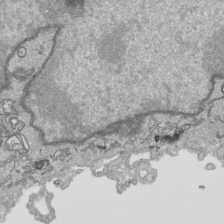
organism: Human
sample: Mitochondria in HCT116 cells